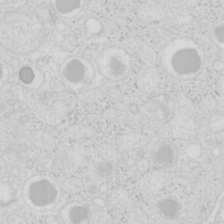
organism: Mouse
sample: Pancreas